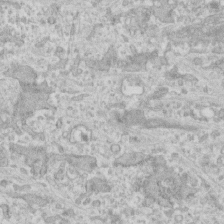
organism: Human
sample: CRL-1474